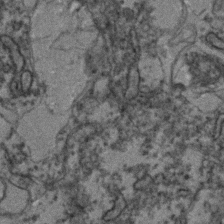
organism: Zebrafish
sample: Zebrafish embryo